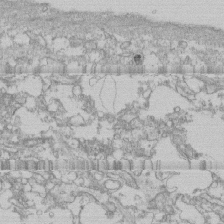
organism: Human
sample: CRL-1474